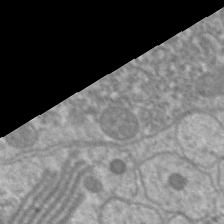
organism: C. elegans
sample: Pharynx